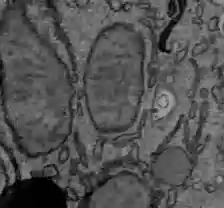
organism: C57BL Mouse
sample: Liver